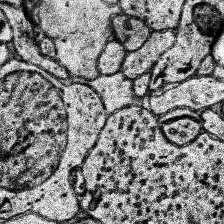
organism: Human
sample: Temporal Lobe